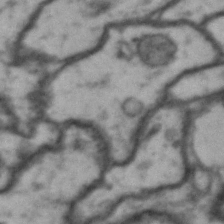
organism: Drosophila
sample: Brain